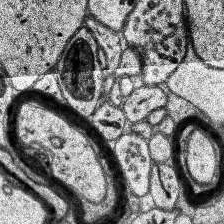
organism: Human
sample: Temporal Lobe